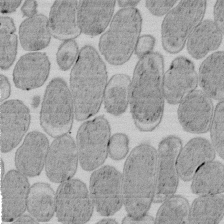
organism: E. coli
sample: Bacterial nucleoid